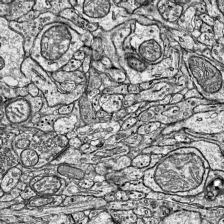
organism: Mouse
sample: Visual Cortex